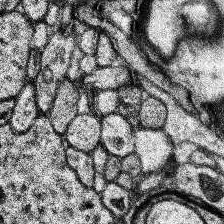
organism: Human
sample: Temporal Lobe